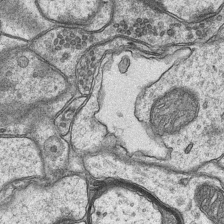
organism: Mouse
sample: CA1 Hippocampus